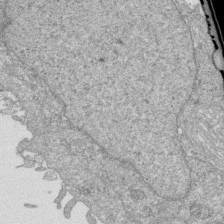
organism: Human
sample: HeLa cell HIV synapse